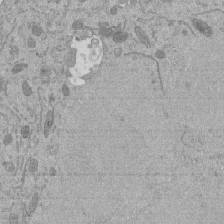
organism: Mouse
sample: ED-1 cell nuclei; centrioles